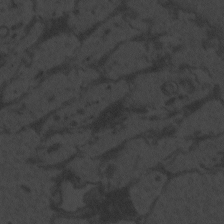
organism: Zebrafish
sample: Macrophage infected with Toxoplasma gondii